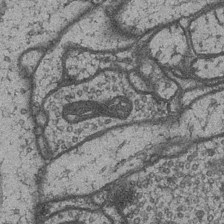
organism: Drosophila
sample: Optic medulla